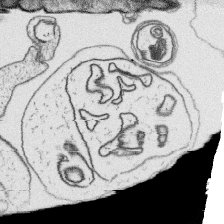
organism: Platynereis dumerilii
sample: Parapodia